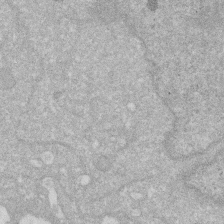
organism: Human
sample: HIV infected U937 cells